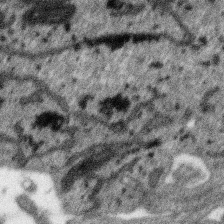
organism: Human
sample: Lung epithelial cells infected with SARS-CoV-2